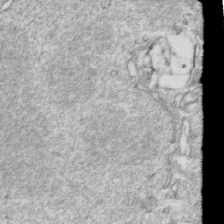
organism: Mouse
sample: Activated OT-1 CD8+ T cells